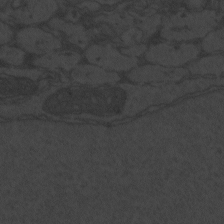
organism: Zebrafish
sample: Macrophage infected with Toxoplasma gondii